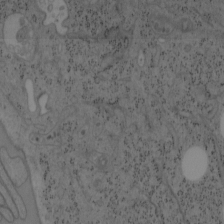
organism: Mouse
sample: OT-I killer T cells with ID8 ovarian cancer cells